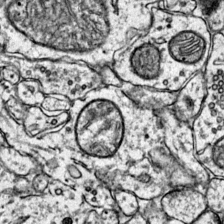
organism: Mouse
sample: Primary visual cortex